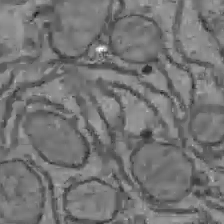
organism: C57BL Mouse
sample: Liver